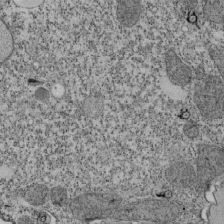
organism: Tetrahymena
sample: Cilia in tetrahymena